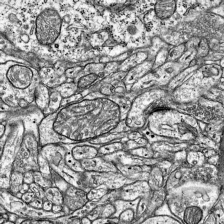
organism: Mouse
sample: Visual Cortex